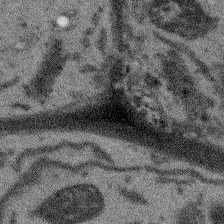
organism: Arabidopsis thaliana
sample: Root tip